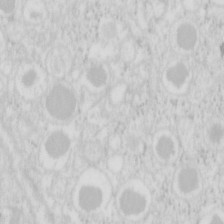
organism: Mouse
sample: Pancreas